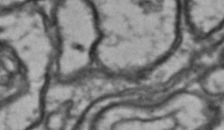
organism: Drosophila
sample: Brain